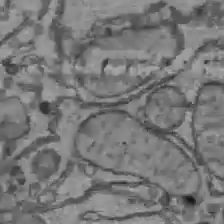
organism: C57BL Mouse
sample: Liver